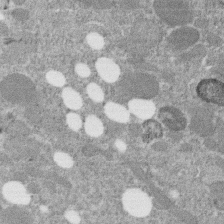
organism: C. elegans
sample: C. elegans embryo early stage